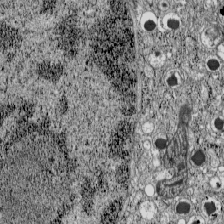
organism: C57BL Mouse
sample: Pancreatic islet